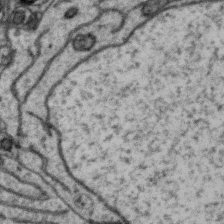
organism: Zebra finch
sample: Brain